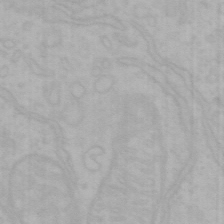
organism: Mouse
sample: Choroid plexus